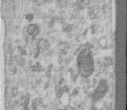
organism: Human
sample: Centriole in RPE cells